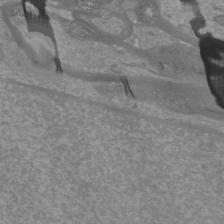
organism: Mouse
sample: Cortical neurons